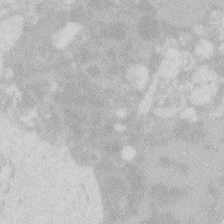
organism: Zebrafish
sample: Macrophage